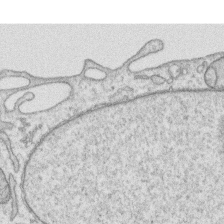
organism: Human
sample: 1205lu cells